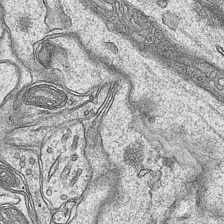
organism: Mouse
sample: CA1 Hippocampus